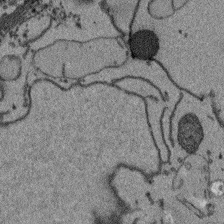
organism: Arabidopsis thaliana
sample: Root tip